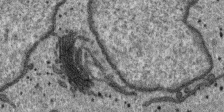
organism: Human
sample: Lung epithelial cells, uninfected (mock) control